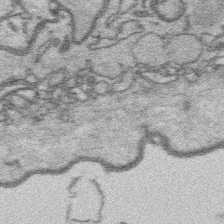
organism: Platynereis dumerilii